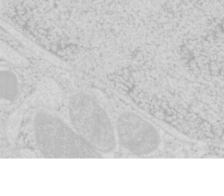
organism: Mouse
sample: Pancreas